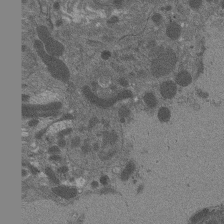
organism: Drosophila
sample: Antenna